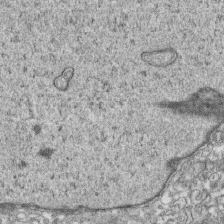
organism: Human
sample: CRL-1474